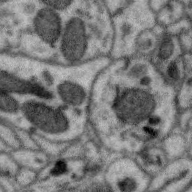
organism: Zebra finch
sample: Brain